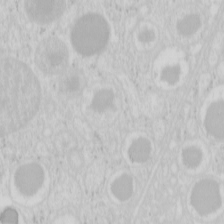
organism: Mouse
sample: Pancreas